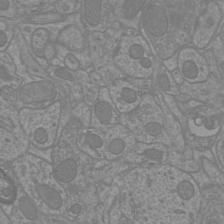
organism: Mouse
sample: Cortical neurons